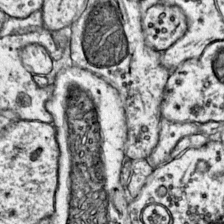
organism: Mouse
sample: Primary visual cortex